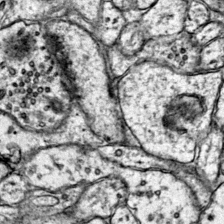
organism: Mouse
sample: Primary visual cortex